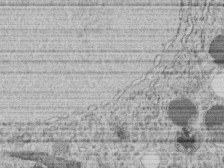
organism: C. elegans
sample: C. elegans embryo early stage